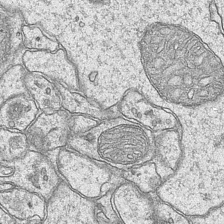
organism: Mouse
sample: CA1 Hippocampus